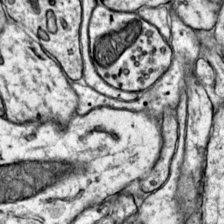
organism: Mouse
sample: Primary visual cortex